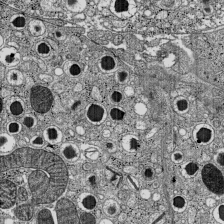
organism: C57BL Mouse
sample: Pancreatic islet